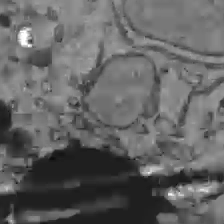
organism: C57BL Mouse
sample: Liver